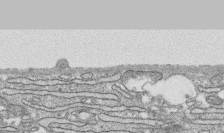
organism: Human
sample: CRL-1474